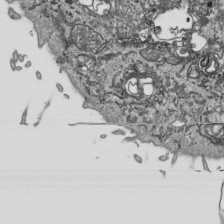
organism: Human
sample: Mitochondria in HCT116 cells